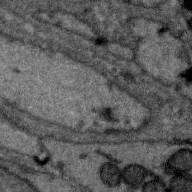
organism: Zebra finch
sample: Brain